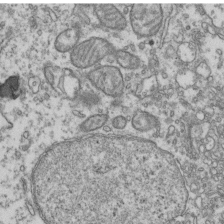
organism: Human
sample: Activated Jurkat CD4+ T cells